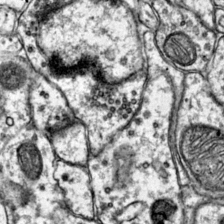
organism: Mouse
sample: Primary visual cortex